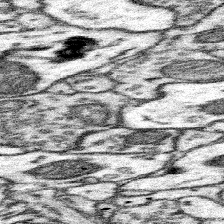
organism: Mouse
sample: Somatosensory cortex neuropil